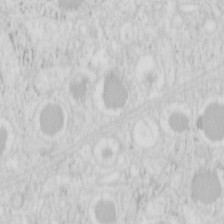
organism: Mouse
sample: Pancreas